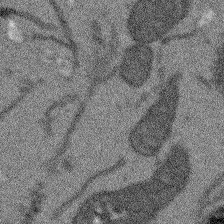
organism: Arabidopsis thaliana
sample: Root tip